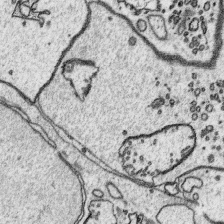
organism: Platynereis dumerilii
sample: Parapodia